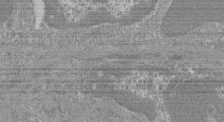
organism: Mouse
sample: Glomerulus